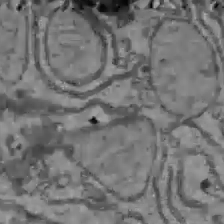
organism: C57BL Mouse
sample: Liver